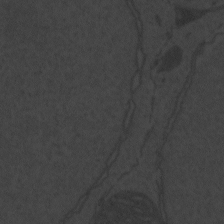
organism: Zebrafish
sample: Macrophage infected with Toxoplasma gondii